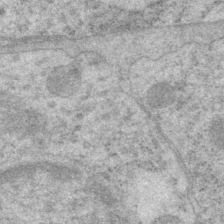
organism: P. pacificus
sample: Pharynx